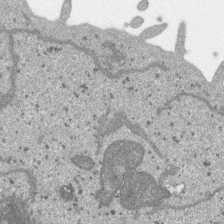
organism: Human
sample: Lung epithelial cells infected with SARS-CoV-2